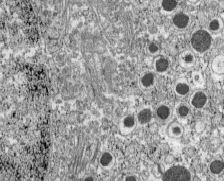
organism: C57BL Mouse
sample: Pancreatic islet